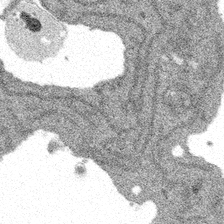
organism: Spongilla lacustris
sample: Multiple